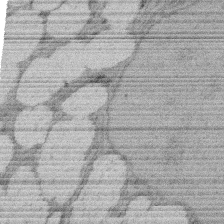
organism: Rat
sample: Salivary granule